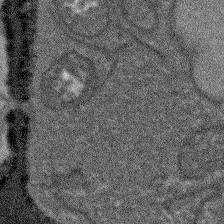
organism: Arabidopsis thaliana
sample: Root tip